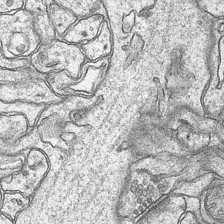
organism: Mouse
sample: CA1 Hippocampus